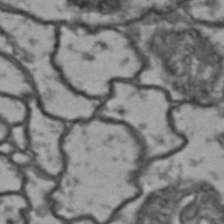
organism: Drosophila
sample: Brain